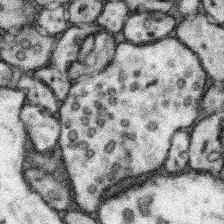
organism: Mouse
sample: Somatosensory cortex neuropil